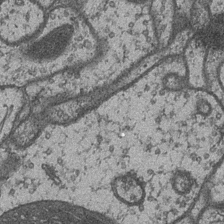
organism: Drosophila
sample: Optic medulla